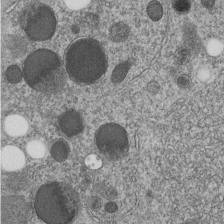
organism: C. elegans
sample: C. elegans embryo early stage